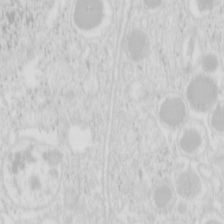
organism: Mouse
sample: Pancreas